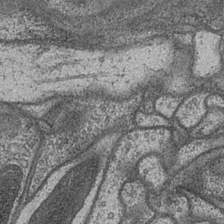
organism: Drosophila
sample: Optic medulla